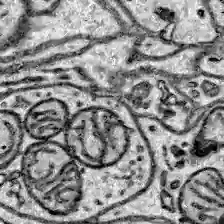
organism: Zebrafish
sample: Brain